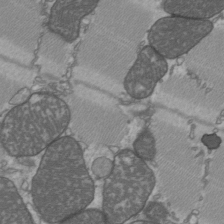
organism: C57BL Mouse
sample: Heart